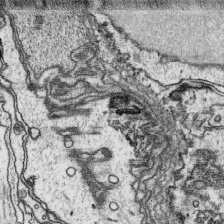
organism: Platynereis dumerilii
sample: Parapodia